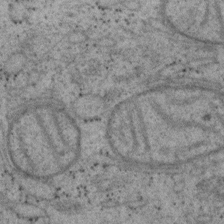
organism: Human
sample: HeLa cells